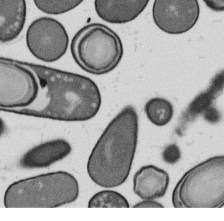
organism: B. subtilis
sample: Bacterial spore